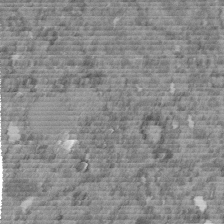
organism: C. elegans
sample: C. elegans embryo early stage